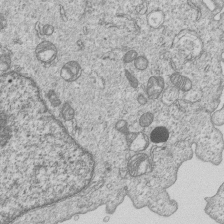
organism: Human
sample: MDA-MB-231 cells